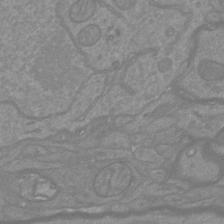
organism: Mouse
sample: Cortical neurons